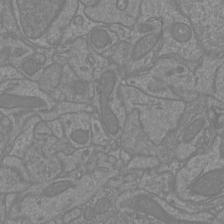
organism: Mouse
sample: Cortical neurons